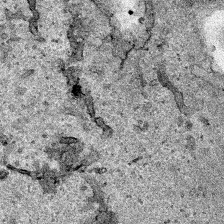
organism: Human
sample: Mitochondria in HCT116 cells